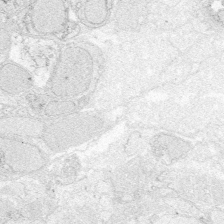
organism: Zebrafish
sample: Whole-Brain